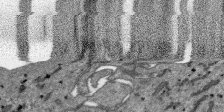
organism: Human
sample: Lung epithelial cells, uninfected (mock) control